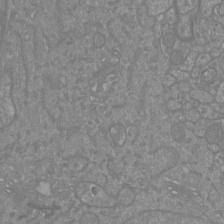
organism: Mouse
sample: Cortical neurons